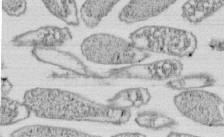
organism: E. coli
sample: Bacterial nucleoid